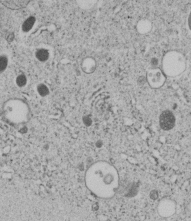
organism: C. elegans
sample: C. elegans embryo early stage